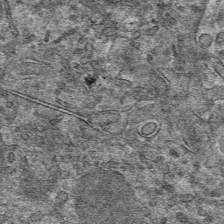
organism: Mouse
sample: Mouse hepatocytes